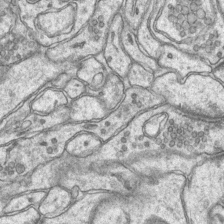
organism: Mouse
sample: CA1 Hippocampus